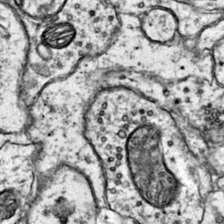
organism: Mouse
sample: Primary visual cortex